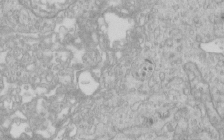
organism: Human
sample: Centriole in RPE cells